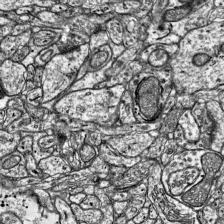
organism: Mouse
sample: Visual Cortex